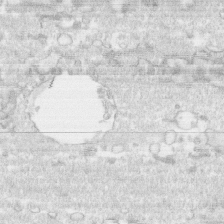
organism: Human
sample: CRL-1474